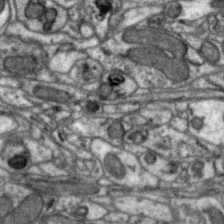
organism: Zebra finch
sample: Brain